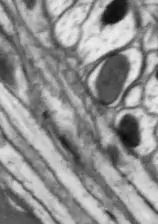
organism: Drosophila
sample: Optic lobe